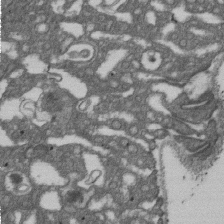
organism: Drosophila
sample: Nephrocyte